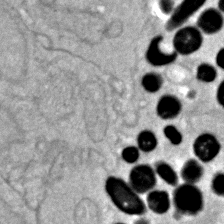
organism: Zebrafish